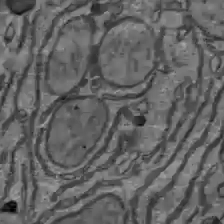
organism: C57BL Mouse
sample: Liver